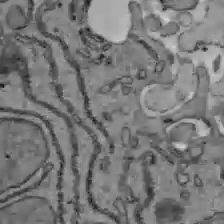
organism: C57BL Mouse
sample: Liver